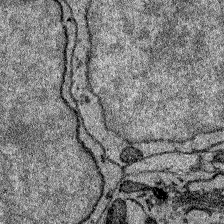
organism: Zebrafish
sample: Larval olfactory bulb